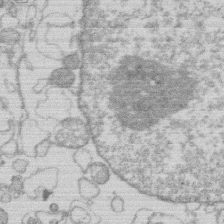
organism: Human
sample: Macrophage cells